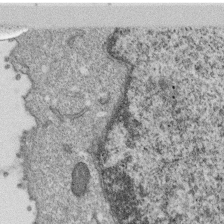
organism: African green monkey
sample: Vero E6 cells infected with SARS-CoV-2